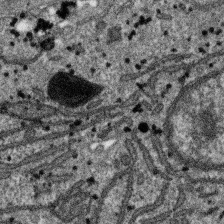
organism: Human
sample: Lung epithelial cells infected with SARS-CoV-2